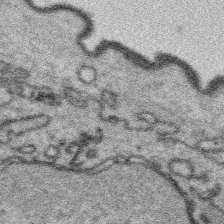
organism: Platynereis dumerilii